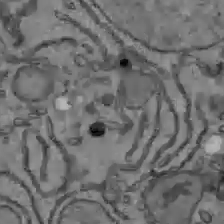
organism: C57BL Mouse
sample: Liver